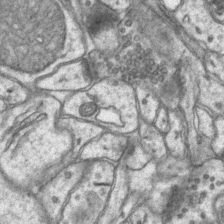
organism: Mouse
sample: CA1 Hippocampus